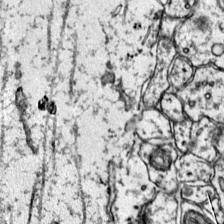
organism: Mouse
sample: Primary visual cortex